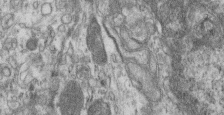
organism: Mouse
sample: Centriole in ependymal cells